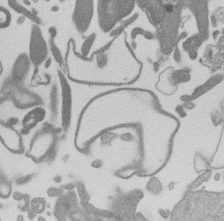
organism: Mouse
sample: Dividing mouse embryo 1 cell stage